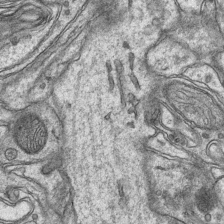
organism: Mouse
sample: CA1 Hippocampus